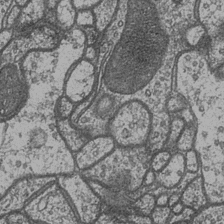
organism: Drosophila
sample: Optic medulla